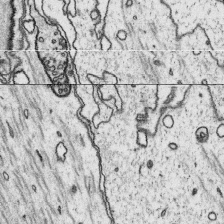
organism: Platynereis dumerilii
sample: Parapodia